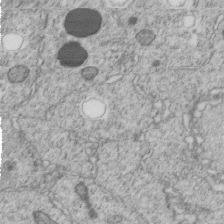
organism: C. elegans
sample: C. elegans embryo early stage